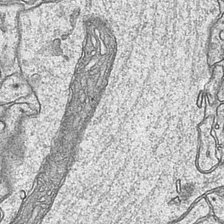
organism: Mouse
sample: CA1 Hippocampus